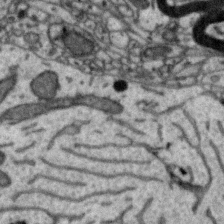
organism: Zebra finch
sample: Brain